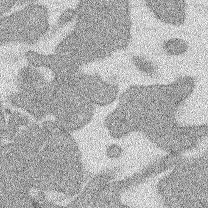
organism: Human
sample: HeLa cells